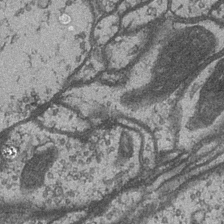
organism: Drosophila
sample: Optic medulla